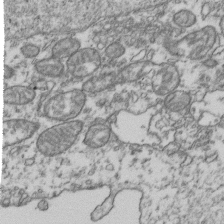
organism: Human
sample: Activated Jurkat CD4+ T cells